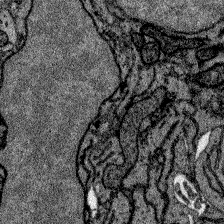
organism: Zebrafish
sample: Larval olfactory bulb